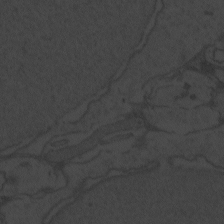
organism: Zebrafish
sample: Macrophage infected with Toxoplasma gondii